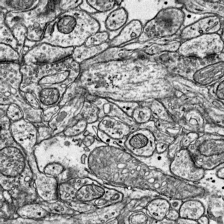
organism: Mouse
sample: Visual Cortex